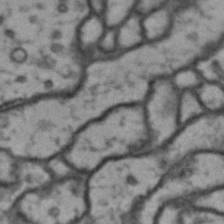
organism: Drosophila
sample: Brain